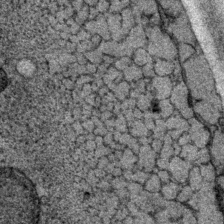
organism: P. pacificus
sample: Pharynx